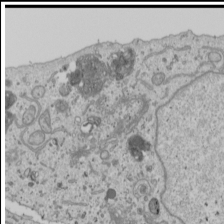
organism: Human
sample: Mitochondria in U2OS cells